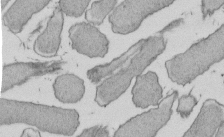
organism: E. coli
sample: Bacterial nucleoid